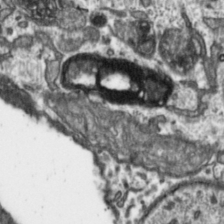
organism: Toxoplasma gondii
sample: Parasites in a vacuole inside a host cell